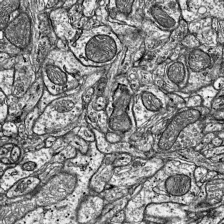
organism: Mouse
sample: Visual Cortex